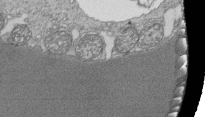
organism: Tetrahymena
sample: Cilia in tetrahymena